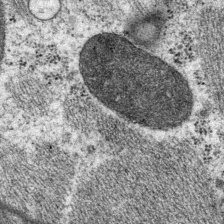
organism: P. pacificus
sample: Pharynx